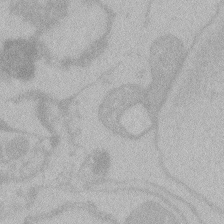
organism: Zebrafish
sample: Macrophage infected with Toxoplasma gondii